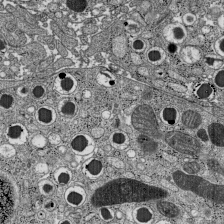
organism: C57BL Mouse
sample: Pancreatic islet